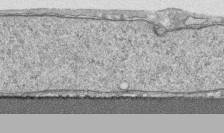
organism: Human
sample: CRL-1474